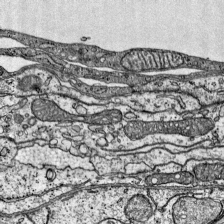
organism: Mouse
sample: Visual Cortex